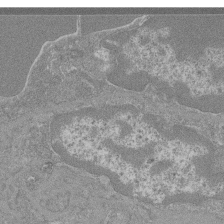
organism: Mouse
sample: Glomerulus